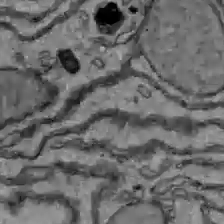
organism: C57BL Mouse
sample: Liver